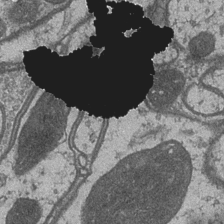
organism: Drosophila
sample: Optic medulla